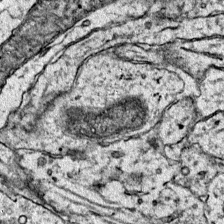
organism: Mouse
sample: Primary visual cortex